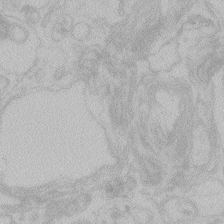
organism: Zebrafish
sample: Macrophage infected with Toxoplasma gondii